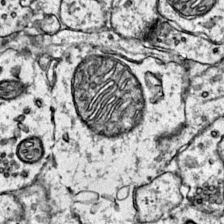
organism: Mouse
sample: Primary visual cortex